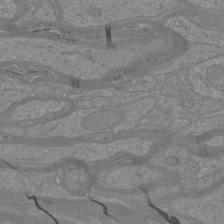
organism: Mouse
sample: Cortical neurons